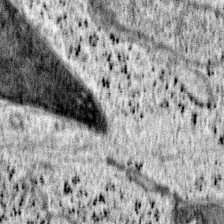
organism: Human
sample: HeLa cells